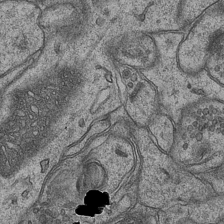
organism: Mouse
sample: CA1 Hippocampus